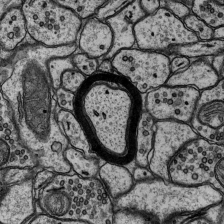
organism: Rat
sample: Hippocampus